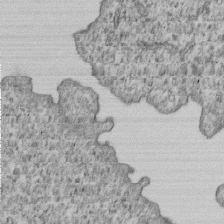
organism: Human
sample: MDA-MB-231 cells